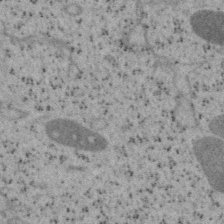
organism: Human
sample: HeLa cells